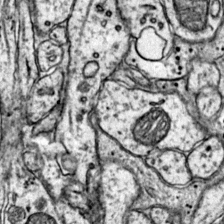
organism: Mouse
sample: Primary visual cortex